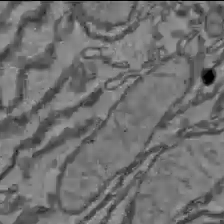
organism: C57BL Mouse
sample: Liver